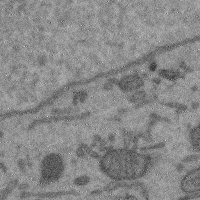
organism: Mouse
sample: Cerebral cortex